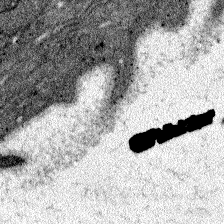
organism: Zebrafish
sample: Larval olfactory bulb